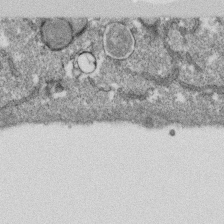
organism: African green monkey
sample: Vero E6 cells infected with SARS-CoV-2